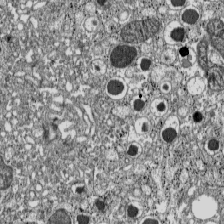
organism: C57BL Mouse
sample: Pancreatic islet